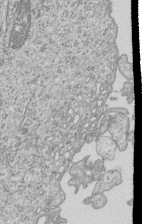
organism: Human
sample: MDA-MB-231 cells